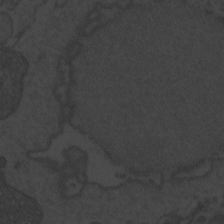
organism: Zebrafish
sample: Macrophage infected with Toxoplasma gondii